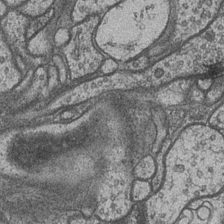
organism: Drosophila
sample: Optic medulla